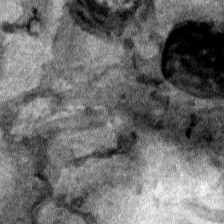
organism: Human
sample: Mitochondria in HCT116 cells